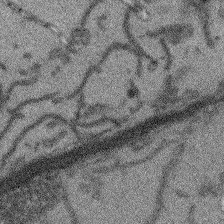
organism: Arabidopsis thaliana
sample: Root tip